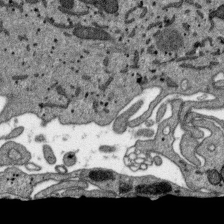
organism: Human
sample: Lung epithelial cells, uninfected (mock) control